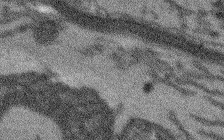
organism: Arabidopsis thaliana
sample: Root tip